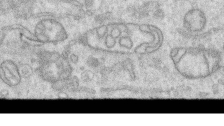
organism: Human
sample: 1205lu cells